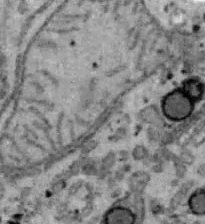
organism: Mouse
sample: Liver from an obese (ob/ob) mouse